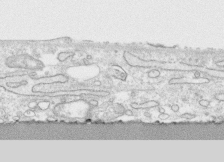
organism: Human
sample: CRL-1474